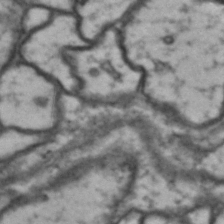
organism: Drosophila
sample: Brain